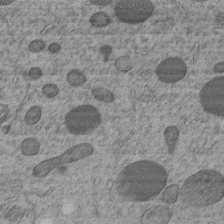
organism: C. elegans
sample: C. elegans embryo early stage